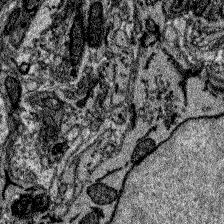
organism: Zebrafish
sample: Larval olfactory bulb